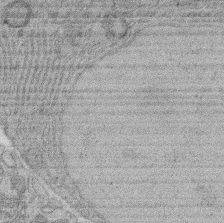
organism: Rat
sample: Salivary granule